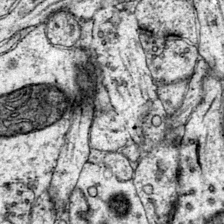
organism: Mouse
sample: Primary visual cortex